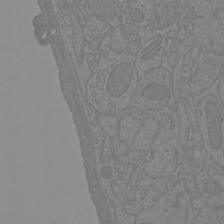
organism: Mouse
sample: Cortical neurons